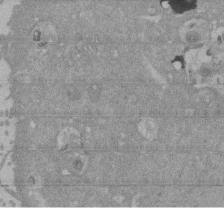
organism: Mouse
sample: ED-1 cell nuclei; centrioles